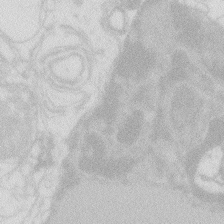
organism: Zebrafish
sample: Macrophage